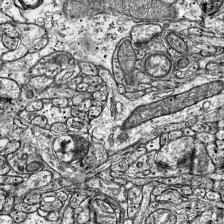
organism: Mouse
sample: Visual Cortex